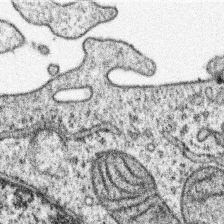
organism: Human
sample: HeLa cells